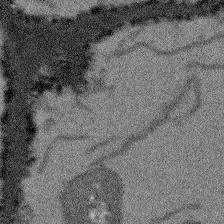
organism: Arabidopsis thaliana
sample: Root tip